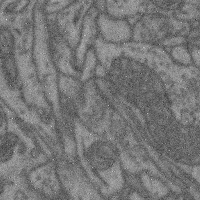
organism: Mouse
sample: Cerebral cortex